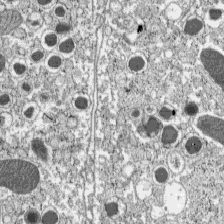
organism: C57BL Mouse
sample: Pancreatic islet